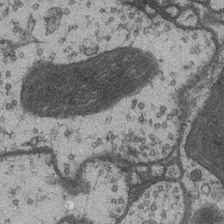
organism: Drosophila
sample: Optic medulla